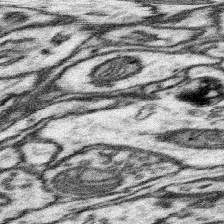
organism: Mouse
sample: Somatosensory cortex neuropil